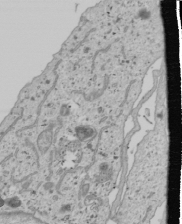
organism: Human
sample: Mitochondria in U2OS cells